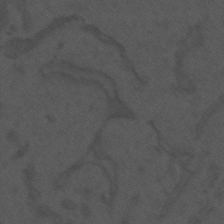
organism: Mouse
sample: Suprachiasmatic nucleus